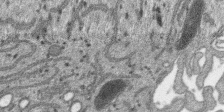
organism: Human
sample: Lung epithelial cells infected with SARS-CoV-2